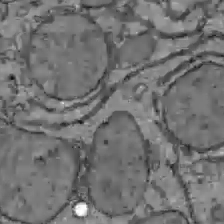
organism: C57BL Mouse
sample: Liver